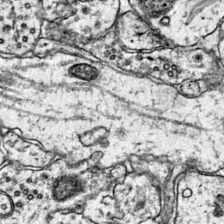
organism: Mouse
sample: Primary visual cortex